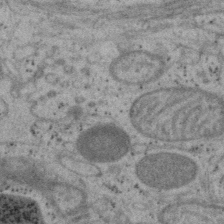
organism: Human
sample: HeLa cells